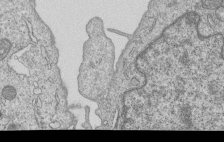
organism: Human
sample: MDA-MB-231 cells